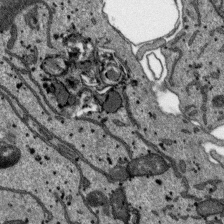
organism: Human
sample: Lung epithelial cells, uninfected (mock) control